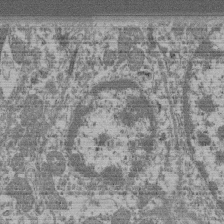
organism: Mouse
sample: Glomerulus